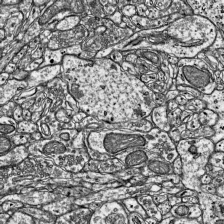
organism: Mouse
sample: Visual Cortex